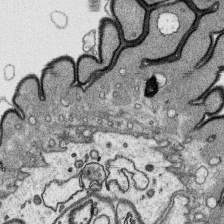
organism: Platynereis dumerilii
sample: Parapodia